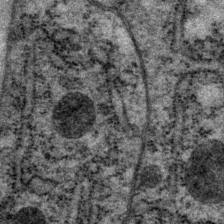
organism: P. pacificus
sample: Pharynx